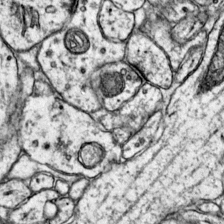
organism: Mouse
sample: Primary visual cortex